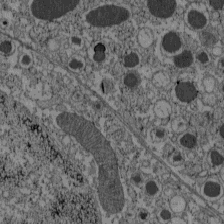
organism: C57BL Mouse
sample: Pancreatic islet